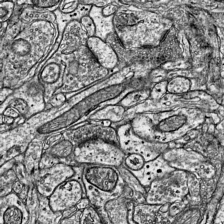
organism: Mouse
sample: Visual Cortex